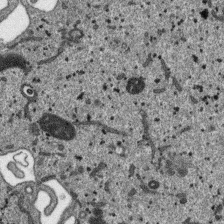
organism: Human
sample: Lung epithelial cells infected with SARS-CoV-2